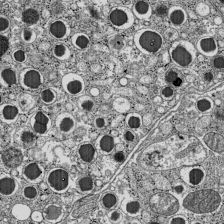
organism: C57BL Mouse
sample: Pancreatic islet